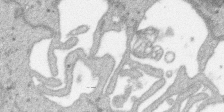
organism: Human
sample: Lung epithelial cells infected with SARS-CoV-2